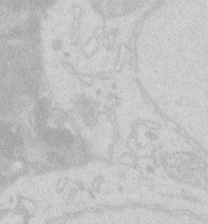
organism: Zebrafish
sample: Macrophage